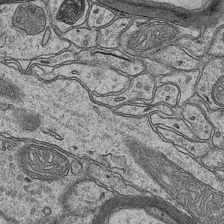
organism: Mouse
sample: CA1 Hippocampus